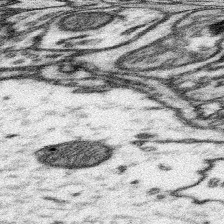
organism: Mouse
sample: Somatosensory cortex neuropil